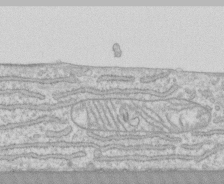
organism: Human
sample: CRL-1474